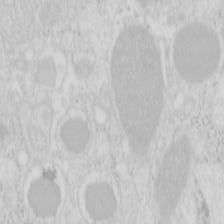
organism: Mouse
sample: Pancreas